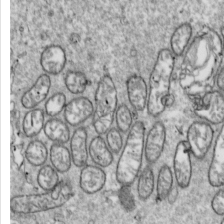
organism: Drosophila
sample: Cell division; meiosis; drosophila spermatocytes